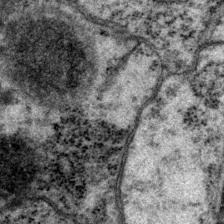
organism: P. pacificus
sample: Pharynx